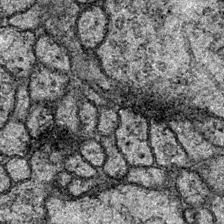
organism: Drosophila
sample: Ventral Nerve Cord